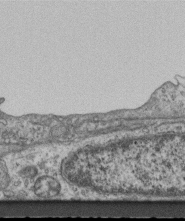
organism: Mouse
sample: Centriole in ependymal cells